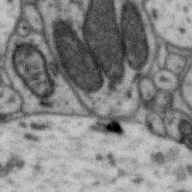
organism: Zebra finch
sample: Brain